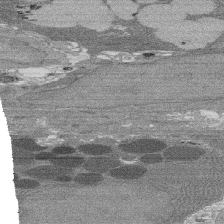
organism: Rat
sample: Salivary granule